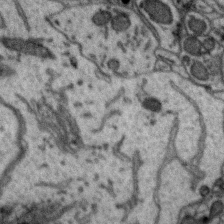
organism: Zebra finch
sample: Brain